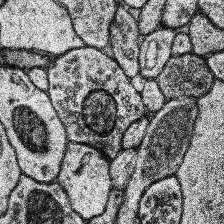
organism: Human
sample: Temporal Lobe